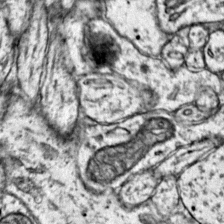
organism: Mouse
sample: Primary visual cortex